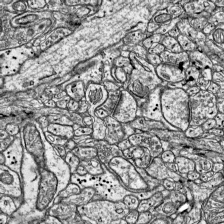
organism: Mouse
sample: Visual Cortex